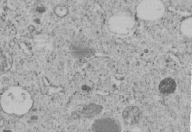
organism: C. elegans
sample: C. elegans embryo early stage